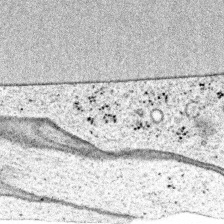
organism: Human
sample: HeLa cells